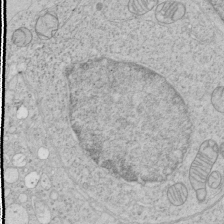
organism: Human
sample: Mitochondria in HCT116 cells